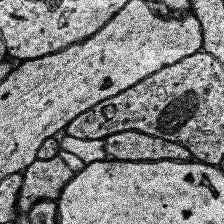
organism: Human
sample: Temporal Lobe